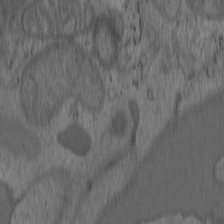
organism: Human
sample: HeLa cells